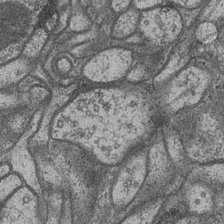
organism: Drosophila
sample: Optic medulla